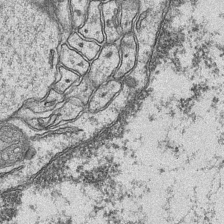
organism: Mouse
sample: CA1 Hippocampus